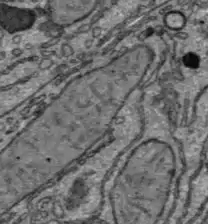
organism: C57BL Mouse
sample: Liver